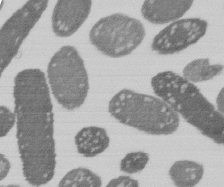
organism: E. coli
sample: Bacterial nucleoid